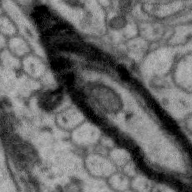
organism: Zebra finch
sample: Brain